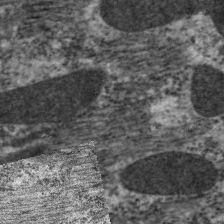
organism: C. elegans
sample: Pharynx